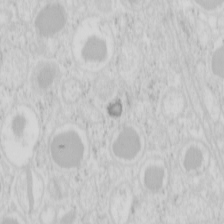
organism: Mouse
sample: Pancreas